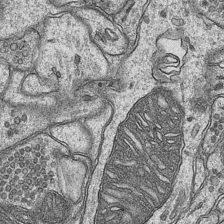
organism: Mouse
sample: CA1 Hippocampus